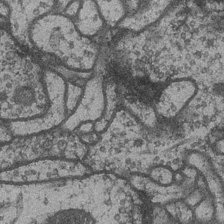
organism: Drosophila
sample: Optic medulla